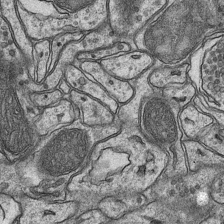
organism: Mouse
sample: CA1 Hippocampus